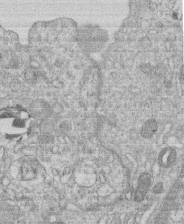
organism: Human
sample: Macrophage cells